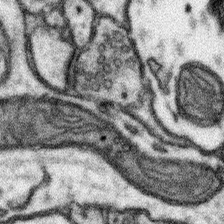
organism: Mouse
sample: Somatosensory cortex neuropil